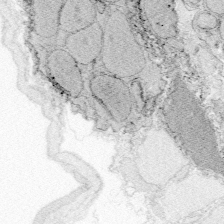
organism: Zebrafish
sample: Whole-Brain